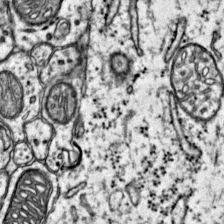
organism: Mouse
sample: Primary visual cortex